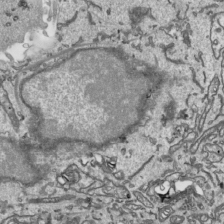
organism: Human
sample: Mitochondria in HCT116 cells